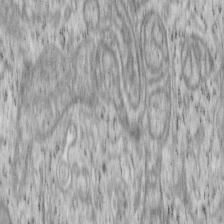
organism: Human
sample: HeLa cells